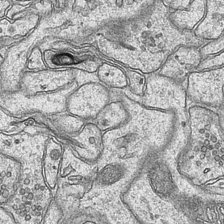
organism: Mouse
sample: CA1 Hippocampus